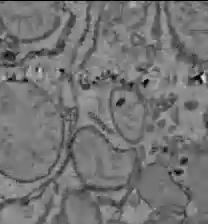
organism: C57BL Mouse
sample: Liver